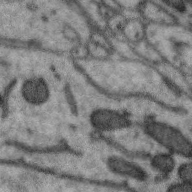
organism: Zebra finch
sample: Brain